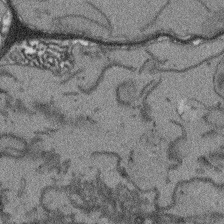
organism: Arabidopsis thaliana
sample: Root tip